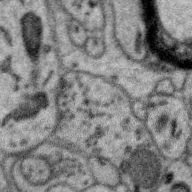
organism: Zebra finch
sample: Brain